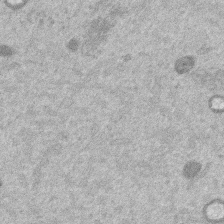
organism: Mouse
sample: Dividing mouse embryo 1 cell stage